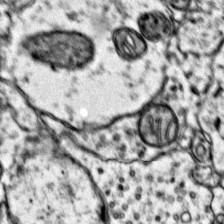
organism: Mouse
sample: Primary visual cortex